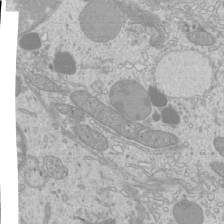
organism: Mouse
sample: Cilia; mouse epididymis